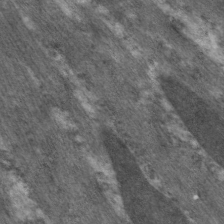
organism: C. elegans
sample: Pharynx